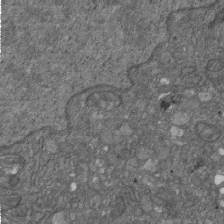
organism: Drosophila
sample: Nephrocyte